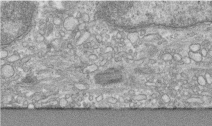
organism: Human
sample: Centriole in RPE cells